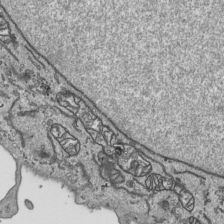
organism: Human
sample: Mitochondria in HCT116 cells